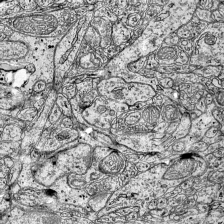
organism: Mouse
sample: Visual Cortex